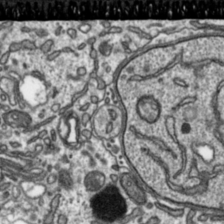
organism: Toxoplasma gondii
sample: Parasites in a vacuole inside a host cell